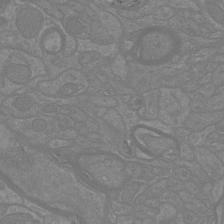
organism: Mouse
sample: Cortical neurons